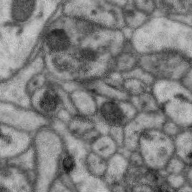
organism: Zebra finch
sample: Brain